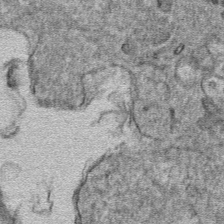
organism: Mouse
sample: Mouse hepatocytes